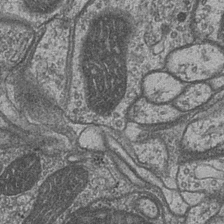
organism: Drosophila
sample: Optic medulla